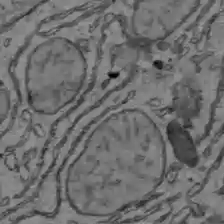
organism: C57BL Mouse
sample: Liver